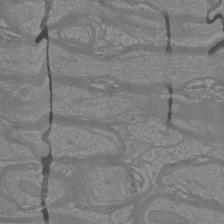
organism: Mouse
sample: Cortical neurons